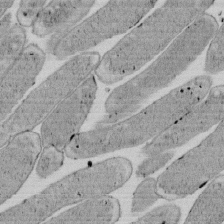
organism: E. coli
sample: Bacterial nucleoid